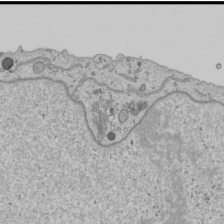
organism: Human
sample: Mitochondria in U2OS cells